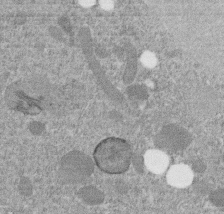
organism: C. elegans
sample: C. elegans embryo early stage